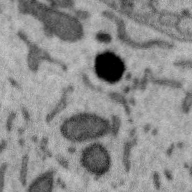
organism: Zebra finch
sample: Brain